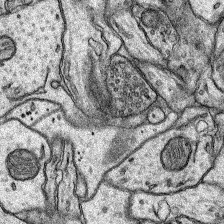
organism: Rat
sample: Hippocampus